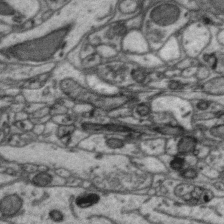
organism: Zebra finch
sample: Brain